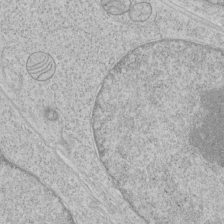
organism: Human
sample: Mitochondria in HCT116 cells